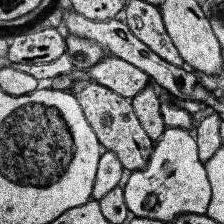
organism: Human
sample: Temporal Lobe